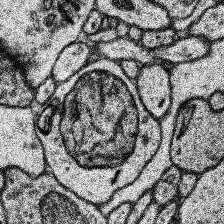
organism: Human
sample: Temporal Lobe